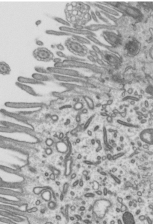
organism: Mouse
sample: Mouse epididymis efferent ductule cilia